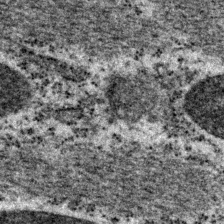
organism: P. pacificus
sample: Pharynx